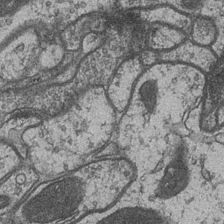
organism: Drosophila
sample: Optic medulla